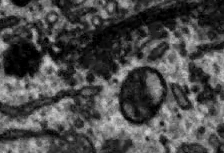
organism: Human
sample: HeLa cells